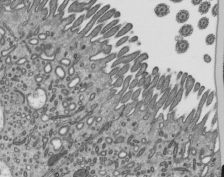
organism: Mouse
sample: Mouse epididymis efferent ductule cilia